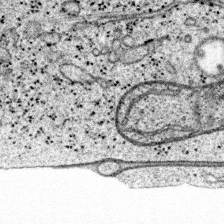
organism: Human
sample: HeLa cells